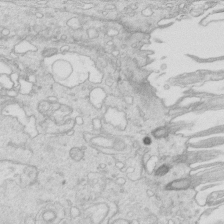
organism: Mouse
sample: Multiciliated cells